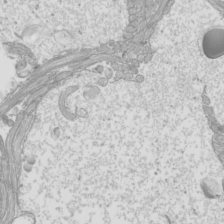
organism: Mouse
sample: Cilia; mouse epididymis